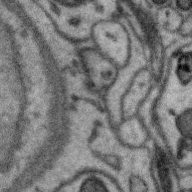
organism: Zebra finch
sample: Brain